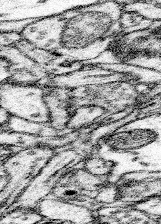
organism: Mouse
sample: Somatosensory cortex neuropil